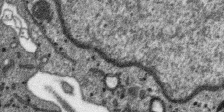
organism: Human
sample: Lung epithelial cells infected with SARS-CoV-2